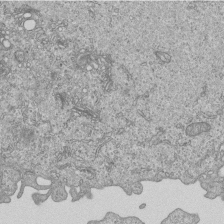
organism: Human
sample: MDA-MB-231 cells